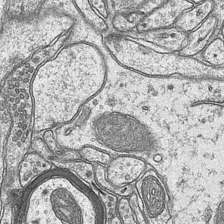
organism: Mouse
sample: CA1 Hippocampus